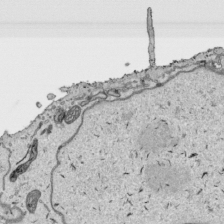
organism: Human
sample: Mitochondria in HCT116 cells